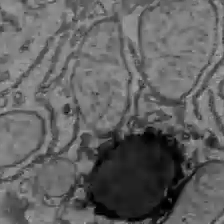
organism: C57BL Mouse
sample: Liver